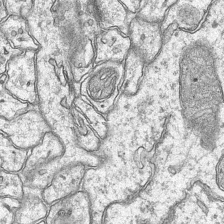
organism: Mouse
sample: CA1 Hippocampus